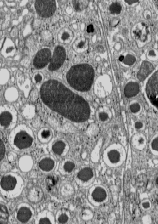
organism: C57BL Mouse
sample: Pancreatic islet